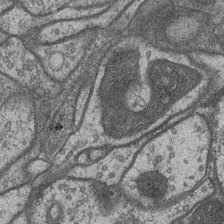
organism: Drosophila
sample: Optic medulla